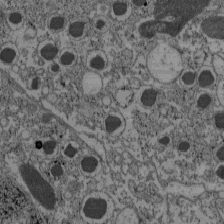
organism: C57BL Mouse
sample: Pancreatic islet